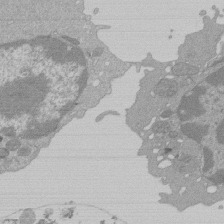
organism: Mouse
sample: Activated Pmel transgenic CD8+ T Cells